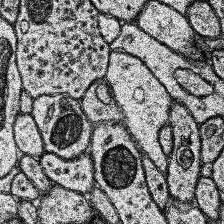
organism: Human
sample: Temporal Lobe